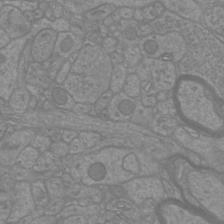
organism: Mouse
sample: Cortical neurons